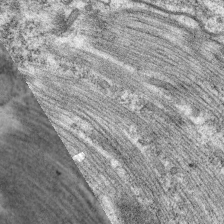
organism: C. elegans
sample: Pharynx